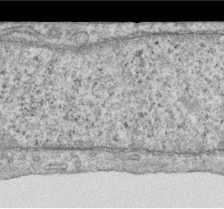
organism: Human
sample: Centriole in RPE cells